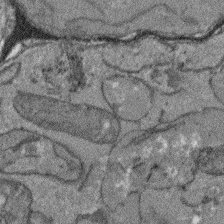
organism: Arabidopsis thaliana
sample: Root tip